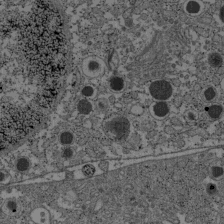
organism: C57BL Mouse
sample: Pancreatic islet